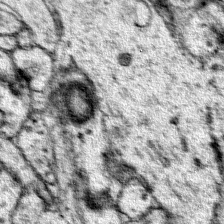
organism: Mouse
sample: Primary visual cortex